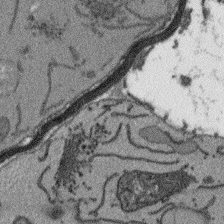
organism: Arabidopsis thaliana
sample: Root tip